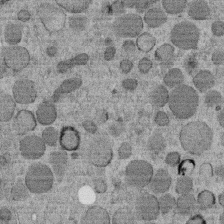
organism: C. elegans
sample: C. elegans embryo early stage